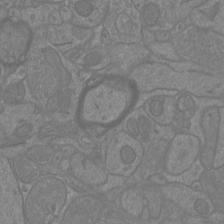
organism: Mouse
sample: Cortical neurons